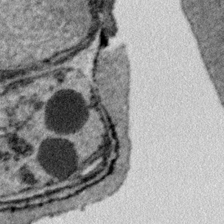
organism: Plasmodium falciparum